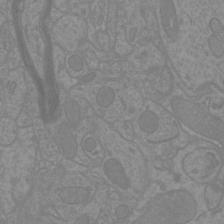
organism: Mouse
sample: Cortical neurons